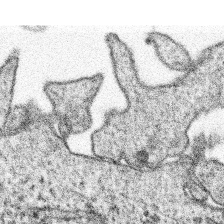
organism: Human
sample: HeLa cells